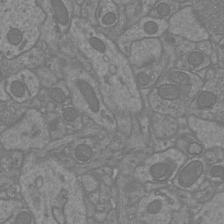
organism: Mouse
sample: Cortical neurons